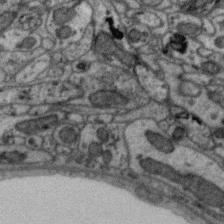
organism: Zebra finch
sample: Brain